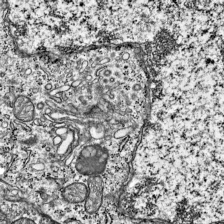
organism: Mouse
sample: Visual Cortex